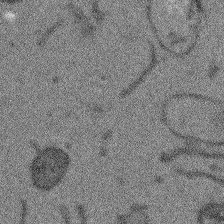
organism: Arabidopsis thaliana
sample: Root tip